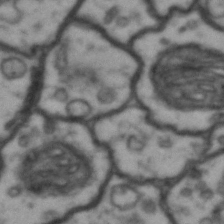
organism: Drosophila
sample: Brain